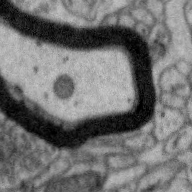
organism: Zebra finch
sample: Brain